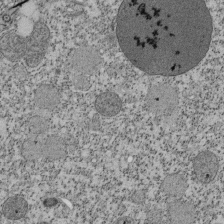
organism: Tetrahymena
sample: Cilia in tetrahymena